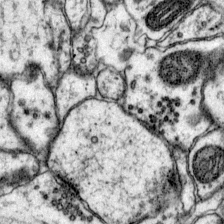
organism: Mouse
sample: Primary visual cortex